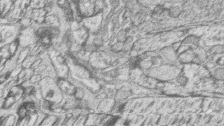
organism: Zebrafish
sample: synaptic ribbons in rod cells and cone cells